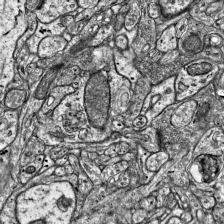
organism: Mouse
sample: Visual Cortex